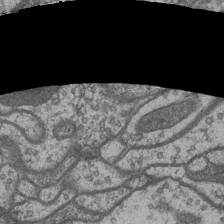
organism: Drosophila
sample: Optic medulla